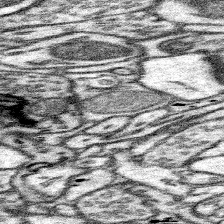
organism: Mouse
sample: Somatosensory cortex neuropil